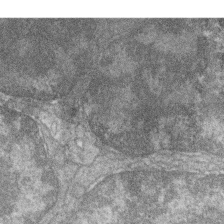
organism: Zebrafish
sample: Cilia; retinal pigment epithelium